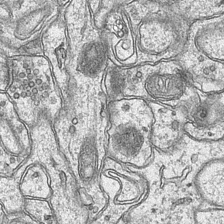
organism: Mouse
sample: CA1 Hippocampus